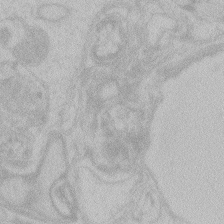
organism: Zebrafish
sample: Macrophage infected with Toxoplasma gondii